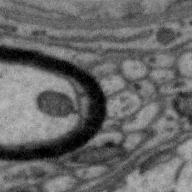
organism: Zebra finch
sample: Brain